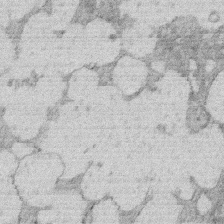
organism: Rat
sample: Salivary granule